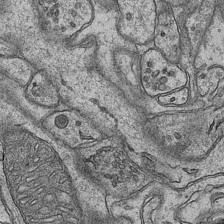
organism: Mouse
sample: CA1 Hippocampus